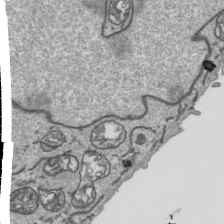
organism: Human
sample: Mitochondria in HCT116 cells